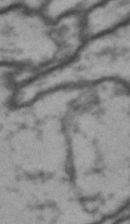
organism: Drosophila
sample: Brain